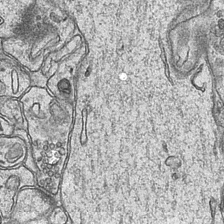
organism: Mouse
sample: CA1 Hippocampus